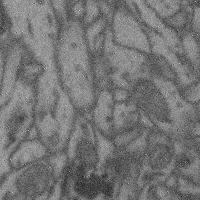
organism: Mouse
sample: Cerebral cortex